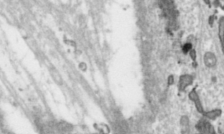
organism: Toxoplasma gondii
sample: Parasites in a vacuole inside a host cell